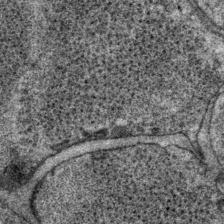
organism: P. pacificus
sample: Pharynx